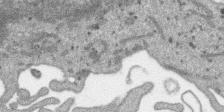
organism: Human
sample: Lung epithelial cells infected with SARS-CoV-2